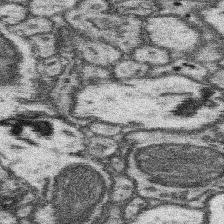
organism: Mouse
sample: Somatosensory cortex neuropil